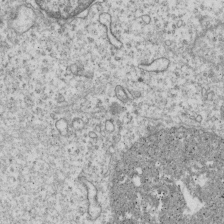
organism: Human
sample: MDA-MB-231 cells